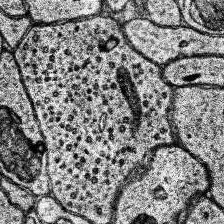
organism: Human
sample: Temporal Lobe